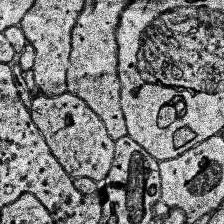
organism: Human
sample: Temporal Lobe